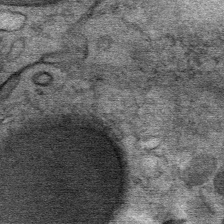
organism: Mouse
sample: Mouse Salivary gland